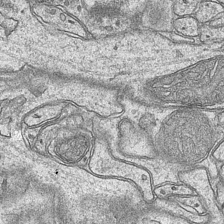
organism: Mouse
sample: CA1 Hippocampus